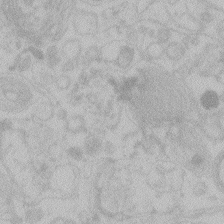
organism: Zebrafish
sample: Macrophage infected with Toxoplasma gondii